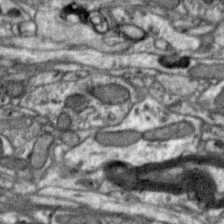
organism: Zebra finch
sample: Brain